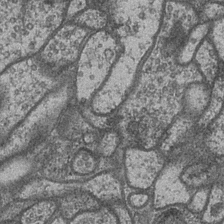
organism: Drosophila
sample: Optic medulla